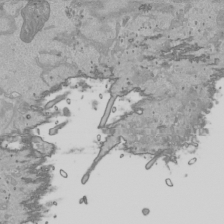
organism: Human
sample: Mitochondria in HCT116 cells